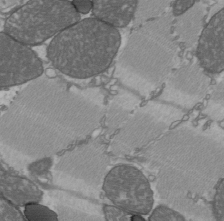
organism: C57BL Mouse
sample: Heart